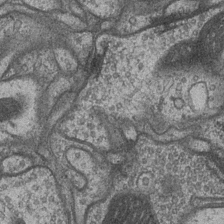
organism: Drosophila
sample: Optic medulla